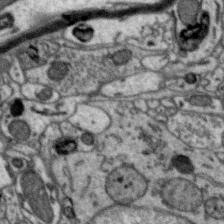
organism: Zebra finch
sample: Brain